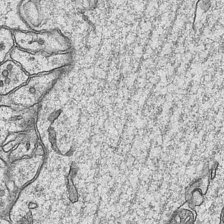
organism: Mouse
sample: CA1 Hippocampus